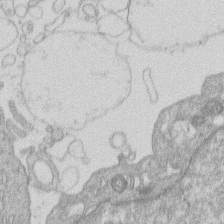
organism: Human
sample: Macrophage cells